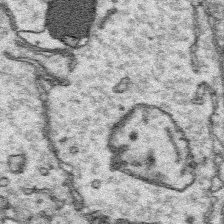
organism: Platynereis dumerilii